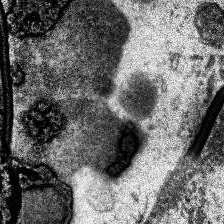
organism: Human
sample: Temporal Lobe